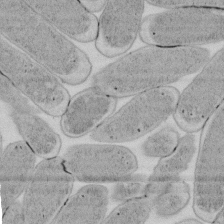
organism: E. coli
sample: Bacterial nucleoid